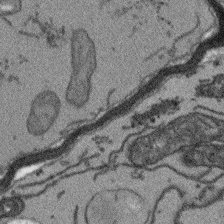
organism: Arabidopsis thaliana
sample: Root tip